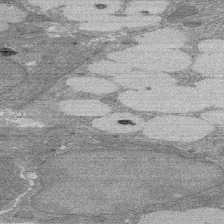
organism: Rat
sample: Salivary granule